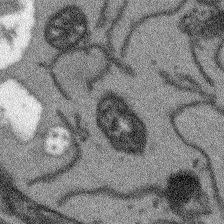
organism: Arabidopsis thaliana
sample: Root tip